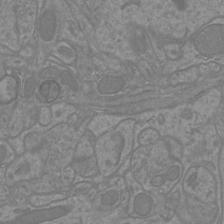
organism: Mouse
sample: Cortical neurons